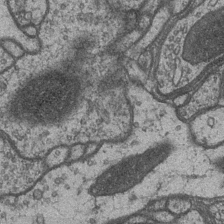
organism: Drosophila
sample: Optic medulla